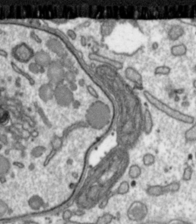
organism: Toxoplasma gondii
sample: Parasites in a vacuole inside a host cell